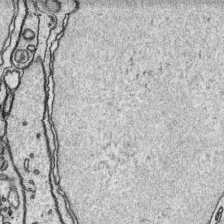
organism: Platynereis dumerilii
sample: Parapodia